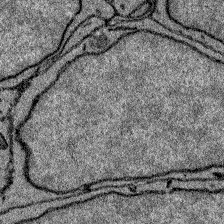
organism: Zebrafish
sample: Larval olfactory bulb